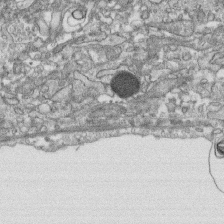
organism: Human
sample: CRL-1474